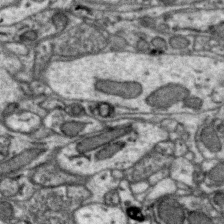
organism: Zebra finch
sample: Brain